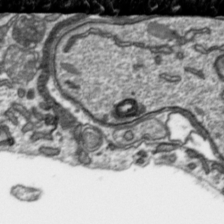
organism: Toxoplasma gondii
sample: Parasites in a vacuole inside a host cell